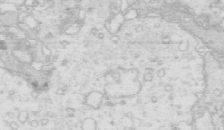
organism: Mouse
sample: Multiciliated cells